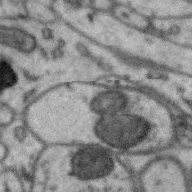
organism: Zebra finch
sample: Brain